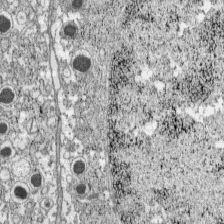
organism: C57BL Mouse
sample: Pancreatic islet